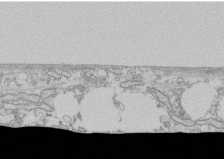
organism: Human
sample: CRL-1474